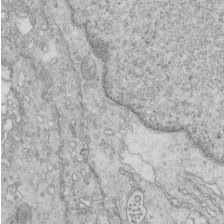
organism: Mouse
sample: Multiciliated cells